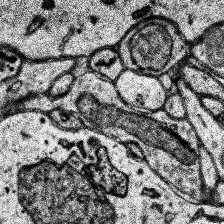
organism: Human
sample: Temporal Lobe